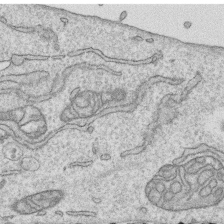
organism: Human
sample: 1205lu cells